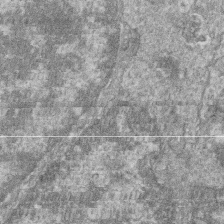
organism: Zebrafish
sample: Cilia; retinal pigment epithelium